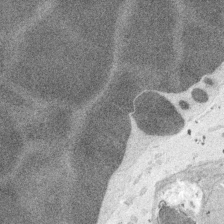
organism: Embia sp.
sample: Silk gland